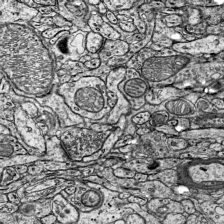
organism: Mouse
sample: Visual Cortex